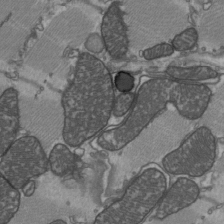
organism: C57BL Mouse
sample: Heart